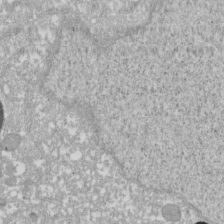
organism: Xenopus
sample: Cilia; centrioles in frog embryo cells